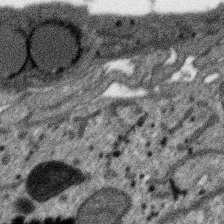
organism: Human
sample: Lung epithelial cells infected with SARS-CoV-2